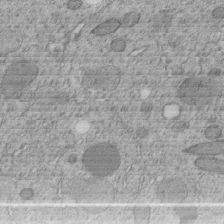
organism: C. elegans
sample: C. elegans embryo early stage